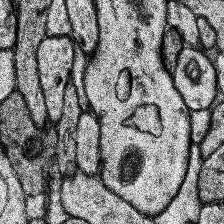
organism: Human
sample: Temporal Lobe